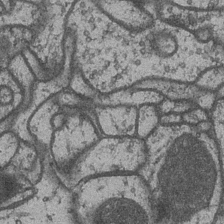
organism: Drosophila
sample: Optic medulla